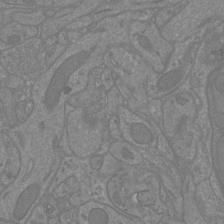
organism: Mouse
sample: Cortical neurons